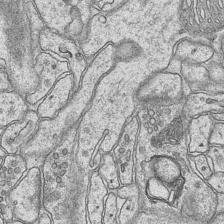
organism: Mouse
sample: CA1 Hippocampus